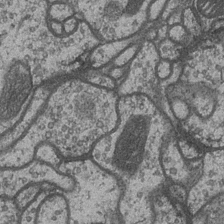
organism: Drosophila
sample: Optic medulla